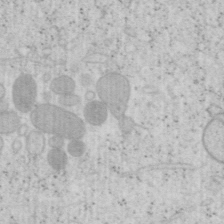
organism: Human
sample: HeLa cells